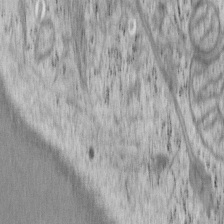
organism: Human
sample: HeLa cells